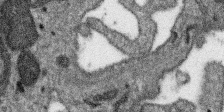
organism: Human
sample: Lung epithelial cells infected with SARS-CoV-2